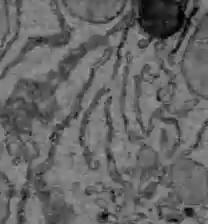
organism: C57BL Mouse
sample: Liver